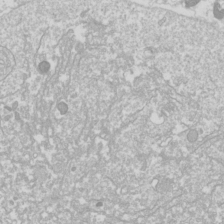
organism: Drosophila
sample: Cell division; meiosis; drosophila spermatocytes